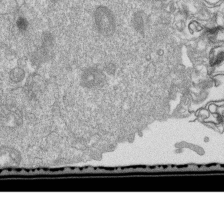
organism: Human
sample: HeLa cell HIV synapse